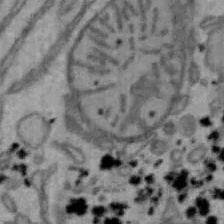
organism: Mouse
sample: Liver